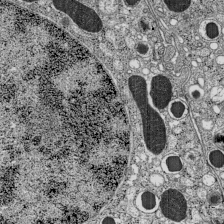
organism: C57BL Mouse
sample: Pancreatic islet